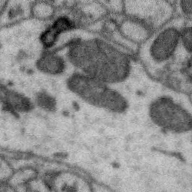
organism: Zebra finch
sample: Brain